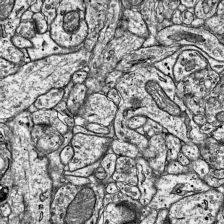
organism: Mouse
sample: Visual Cortex